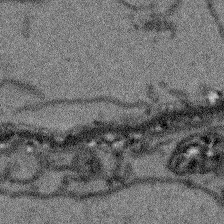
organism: Arabidopsis thaliana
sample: Root tip